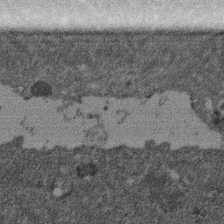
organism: Mouse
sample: Dividing mouse embryo 1 cell stage